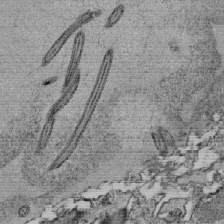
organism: Tetrahymena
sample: Cilia in tetrahymena